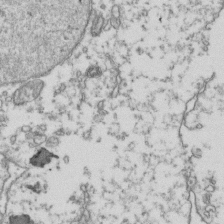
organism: Human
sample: Activated Jurkat CD4+ T cells